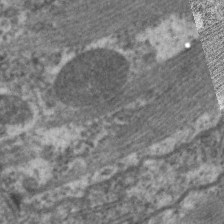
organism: C. elegans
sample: Pharynx